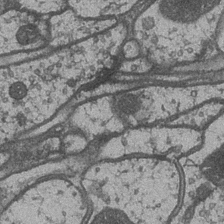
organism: Drosophila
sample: Optic medulla